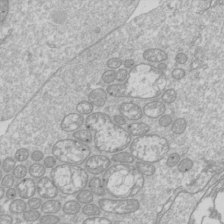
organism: Drosophila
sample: Cell division; meiosis; drosophila spermatocytes